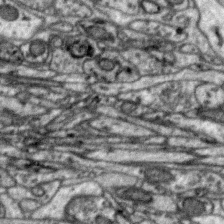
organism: Zebra finch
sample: Brain